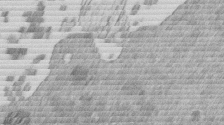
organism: Mouse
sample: Dividing mouse embryo 1 cell stage